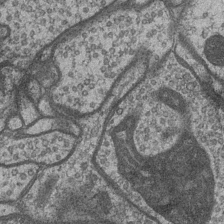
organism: Drosophila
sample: Optic medulla